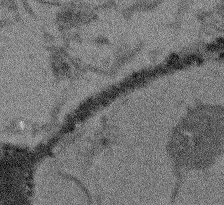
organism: Arabidopsis thaliana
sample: Root tip